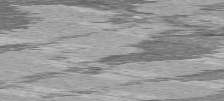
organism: C57BL Mouse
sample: Heart